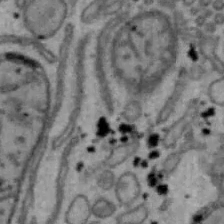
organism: Mouse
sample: Liver